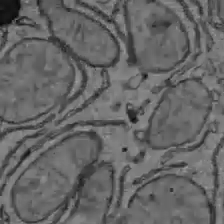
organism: C57BL Mouse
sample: Liver